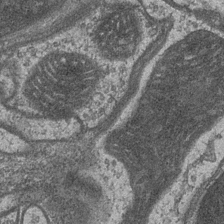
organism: Drosophila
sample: Optic medulla